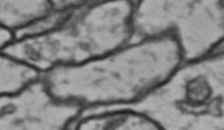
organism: Drosophila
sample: Brain